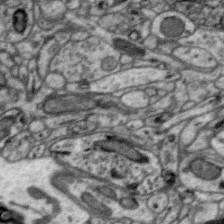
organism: Zebra finch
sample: Brain